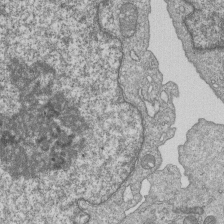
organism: Human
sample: MDA-MB-231 cells